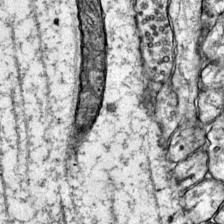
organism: Mouse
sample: Primary visual cortex